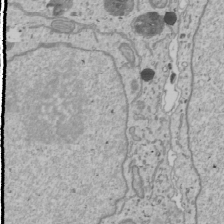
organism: Human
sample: Mitochondria in U2OS cells